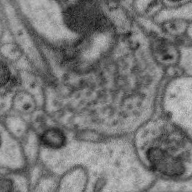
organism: Zebra finch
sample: Brain